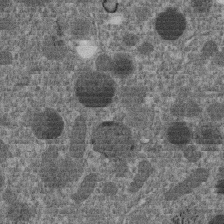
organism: C. elegans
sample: C. elegans embryo early stage